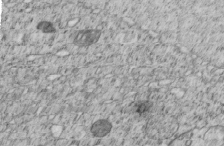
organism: C. elegans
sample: C. elegans embryo early stage